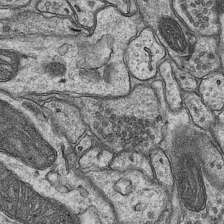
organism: Mouse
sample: CA1 Hippocampus